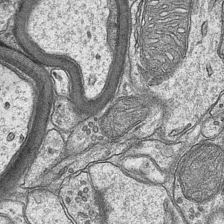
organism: Mouse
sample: CA1 Hippocampus